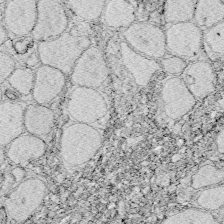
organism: Zebrafish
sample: Whole-Brain